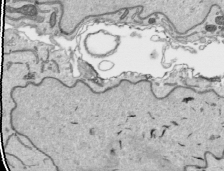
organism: Human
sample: Mitochondria in HCT116 cells